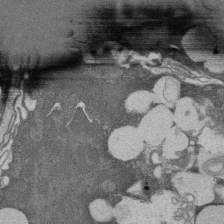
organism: Rat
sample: Salivary granule